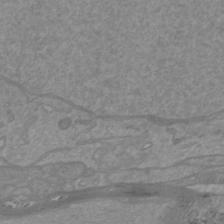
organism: Mouse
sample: Cortical neurons